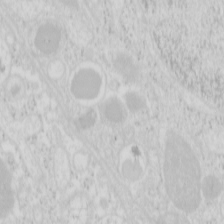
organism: Mouse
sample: Pancreas